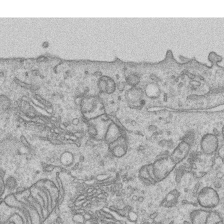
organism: Human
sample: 1205lu cells